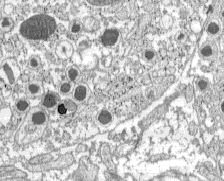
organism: C57BL Mouse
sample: Pancreatic islet